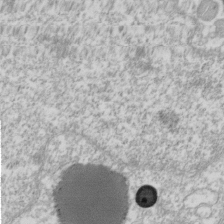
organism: Xenopus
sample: Cilia; centrioles in frog embryo cells